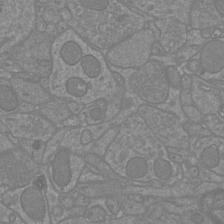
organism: Mouse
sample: Cortical neurons